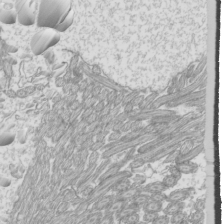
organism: Mouse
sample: Cilia; mouse epididymis